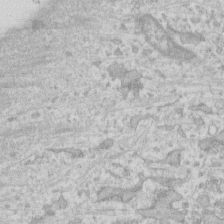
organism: Human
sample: Fibroblast cells